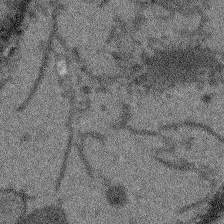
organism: Arabidopsis thaliana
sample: Root tip